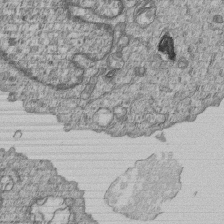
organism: Human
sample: MDA-MB-231 cells